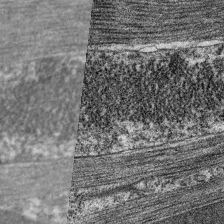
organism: C. elegans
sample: Pharynx